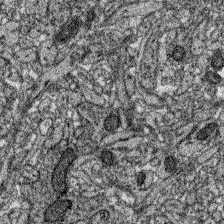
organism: Zebrafish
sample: Larval olfactory bulb